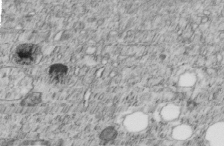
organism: C. elegans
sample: C. elegans embryo early stage